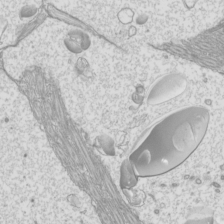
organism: Mouse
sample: Cilia; mouse epididymis